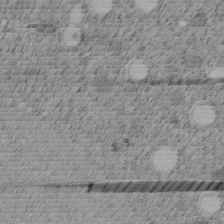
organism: C. elegans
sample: C. elegans embryo early stage